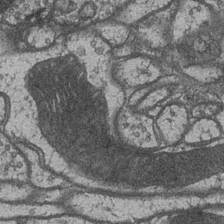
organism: Drosophila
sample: Optic medulla